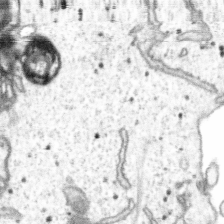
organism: Human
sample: HeLa cells